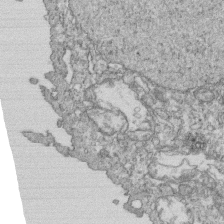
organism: Human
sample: HeLa cell HIV synapse